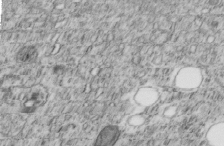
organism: C. elegans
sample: C. elegans embryo early stage